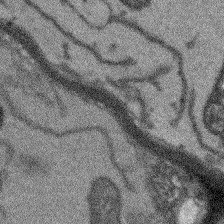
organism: Arabidopsis thaliana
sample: Root tip